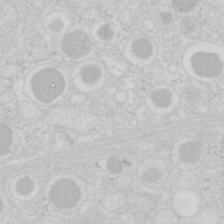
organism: Mouse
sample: Pancreas